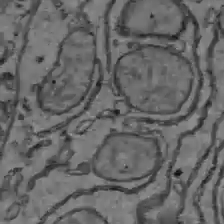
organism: C57BL Mouse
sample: Liver